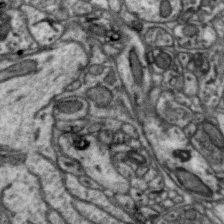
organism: Zebra finch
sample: Brain